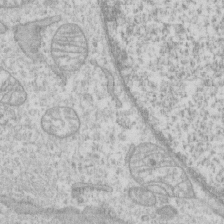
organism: Human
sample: CRL-1474